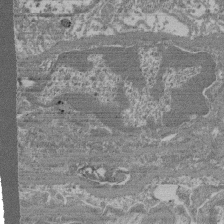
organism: Mouse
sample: Glomerulus